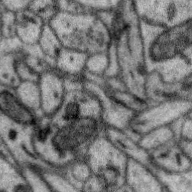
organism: Zebra finch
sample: Brain